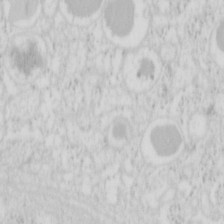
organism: Mouse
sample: Pancreas